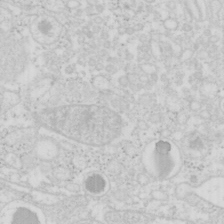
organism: Mouse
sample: Pancreas